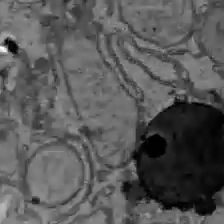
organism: C57BL Mouse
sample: Liver